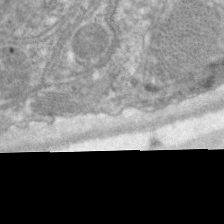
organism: C. elegans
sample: Pharynx